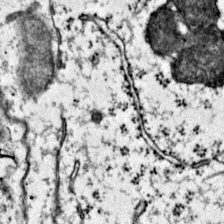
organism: Mouse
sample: Primary visual cortex